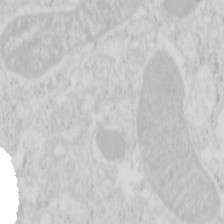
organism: Mouse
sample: Pancreas